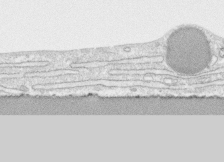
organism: Human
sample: CRL-1474